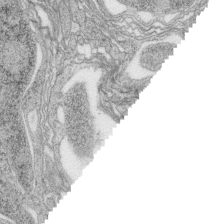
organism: Zebrafish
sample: synaptic ribbons in rod cells and cone cells